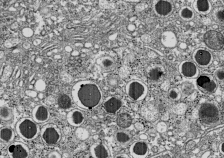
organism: C57BL Mouse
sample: Pancreatic islet